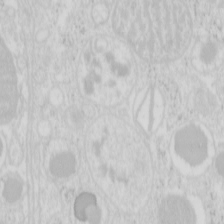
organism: Mouse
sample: Pancreas